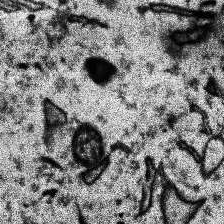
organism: Human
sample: Temporal Lobe